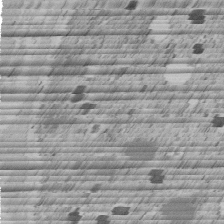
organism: C. elegans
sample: C. elegans embryo early stage